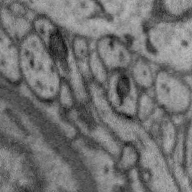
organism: Zebra finch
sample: Brain